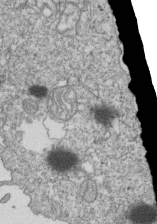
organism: Human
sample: HeLa cell HIV synapse